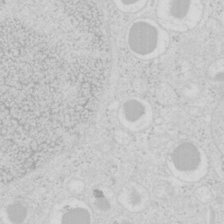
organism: Mouse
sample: Pancreas